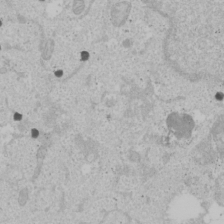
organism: Human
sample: Mitochondria in U2OS cells